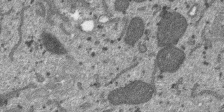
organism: Human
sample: Lung epithelial cells infected with SARS-CoV-2